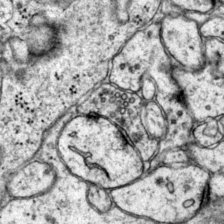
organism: Mouse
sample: Primary visual cortex